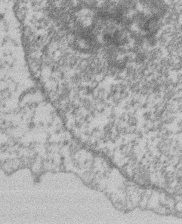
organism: Mouse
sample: T cell stromal cell synapse